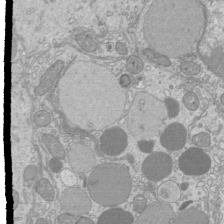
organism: Mouse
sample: Cilia; mouse epididymis